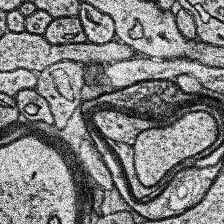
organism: Human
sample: Temporal Lobe